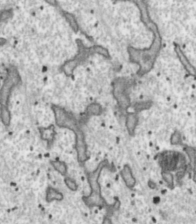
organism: Toxoplasma gondii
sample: Parasites in a vacuole inside a host cell